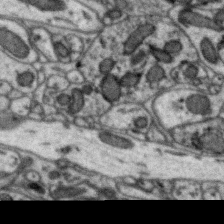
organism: Zebra finch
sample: Brain